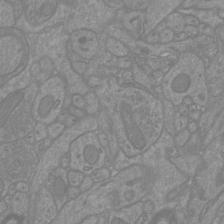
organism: Mouse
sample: Cortical neurons